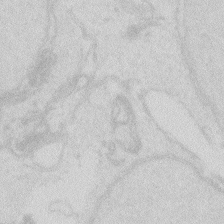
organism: Zebrafish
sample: Macrophage